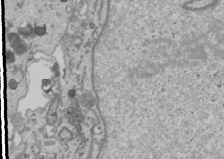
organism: Human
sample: Mitochondria in U2OS cells